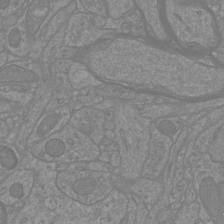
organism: Mouse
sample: Cortical neurons